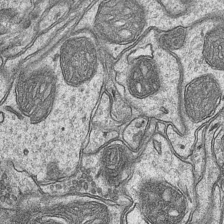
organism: Mouse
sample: CA1 Hippocampus